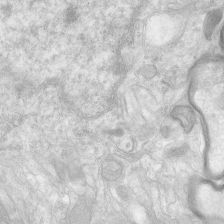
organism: Human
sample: Neocortex